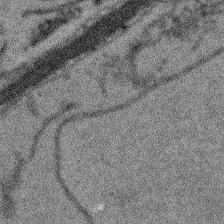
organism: Arabidopsis thaliana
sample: Root tip